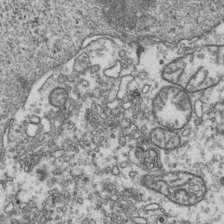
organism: Human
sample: Activated Jurkat CD4+ T cells